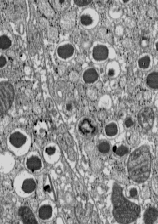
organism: C57BL Mouse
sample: Pancreatic islet